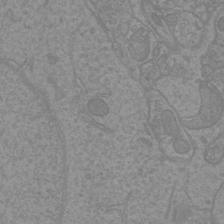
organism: Mouse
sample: Cortical neurons